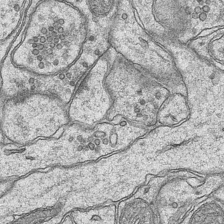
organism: Mouse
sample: CA1 Hippocampus